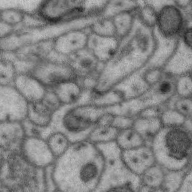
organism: Zebra finch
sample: Brain